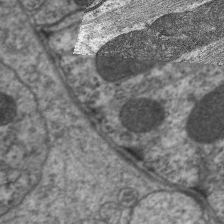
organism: C. elegans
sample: Pharynx